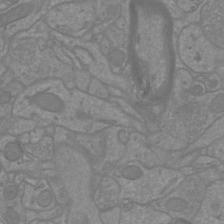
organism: Mouse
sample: Cortical neurons